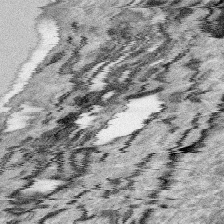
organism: Human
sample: HeLa cells